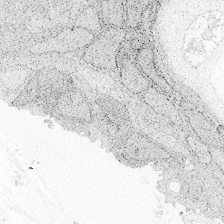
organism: Zebrafish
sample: Whole-Brain